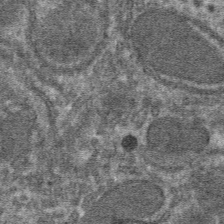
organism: Mouse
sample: Mouse hepatocytes